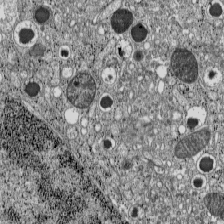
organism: C57BL Mouse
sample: Pancreatic islet